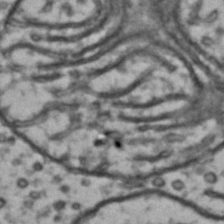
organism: Drosophila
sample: Brain